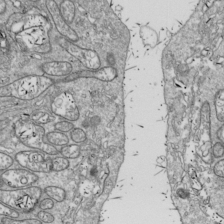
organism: Drosophila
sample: Cell division; meiosis; drosophila spermatocytes